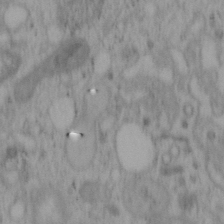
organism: Mouse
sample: OT-I killer T cells with ID8 ovarian cancer cells